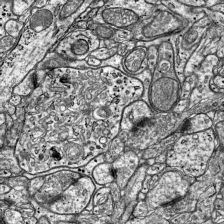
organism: Mouse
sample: Visual Cortex